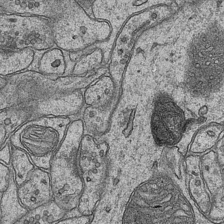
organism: Mouse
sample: CA1 Hippocampus